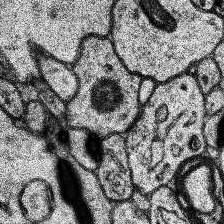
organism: Human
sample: Temporal Lobe